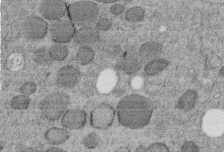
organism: C. elegans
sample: C. elegans embryo early stage